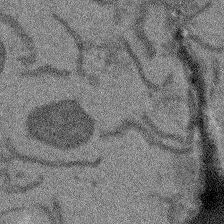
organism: Arabidopsis thaliana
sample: Root tip